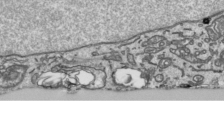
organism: Human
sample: Mitochondria in HCT116 cells